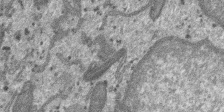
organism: Human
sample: Lung epithelial cells infected with SARS-CoV-2